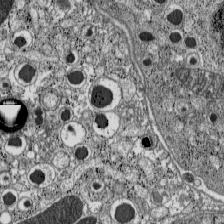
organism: C57BL Mouse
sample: Pancreatic islet